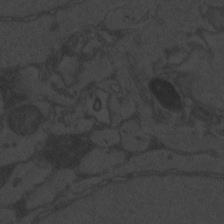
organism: Zebrafish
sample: Macrophage infected with Toxoplasma gondii